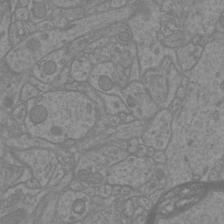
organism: Mouse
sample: Cortical neurons